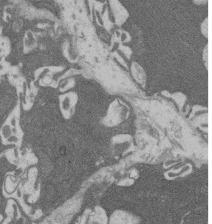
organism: Rat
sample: Salivary granule